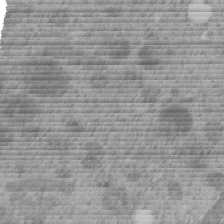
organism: C. elegans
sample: C. elegans embryo early stage